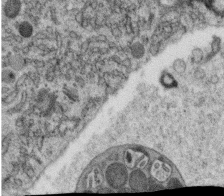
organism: C. elegans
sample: C. elegans oocyte; sperm cells